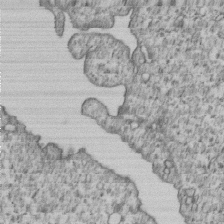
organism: Human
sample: MDA-MB-231 cells